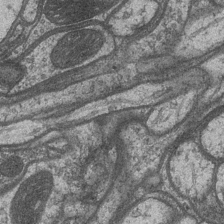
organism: Drosophila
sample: Optic medulla